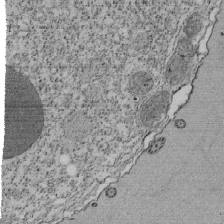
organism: Tetrahymena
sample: Cilia in tetrahymena